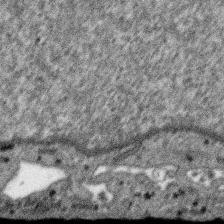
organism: Human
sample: Lung epithelial cells infected with SARS-CoV-2